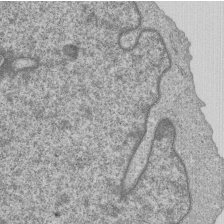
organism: Human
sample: MDA-MB-231 cells